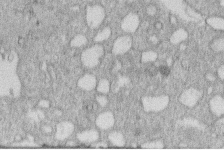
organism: Human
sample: Macrophage cells